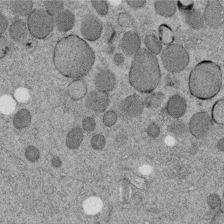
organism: C. elegans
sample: C. elegans embryo early stage